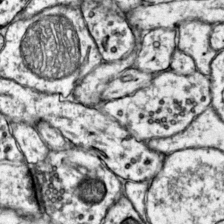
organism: Mouse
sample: Primary visual cortex